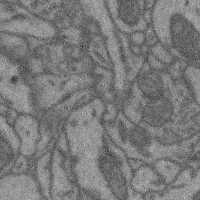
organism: Mouse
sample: Cerebral cortex